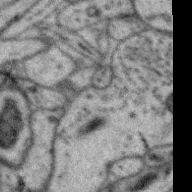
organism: Zebra finch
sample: Brain